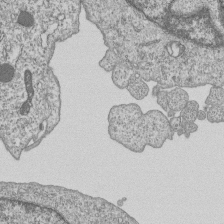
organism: Human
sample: MDA-MB-231 cells